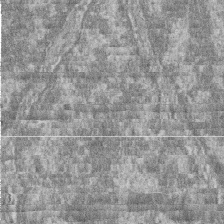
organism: Zebrafish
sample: Cilia; retinal pigment epithelium